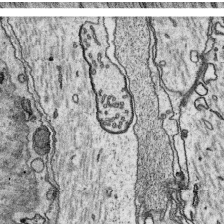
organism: Platynereis dumerilii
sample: Parapodia